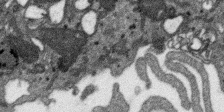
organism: Human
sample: Lung epithelial cells infected with SARS-CoV-2